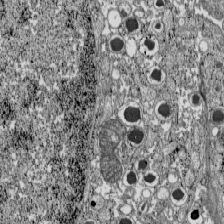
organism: C57BL Mouse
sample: Pancreatic islet